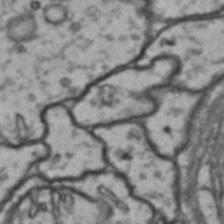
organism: Drosophila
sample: Brain